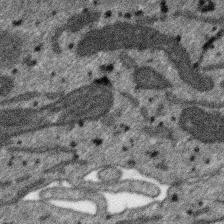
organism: Human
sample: Lung epithelial cells infected with SARS-CoV-2